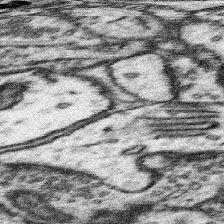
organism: Mouse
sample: Somatosensory cortex neuropil